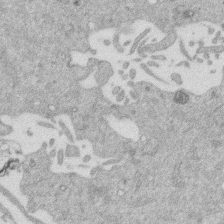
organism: Mouse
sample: Dividing mouse embryo 1 cell stage